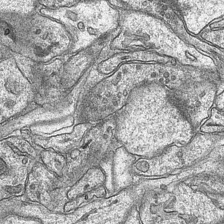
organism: Mouse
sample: CA1 Hippocampus